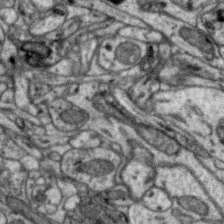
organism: Zebra finch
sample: Brain